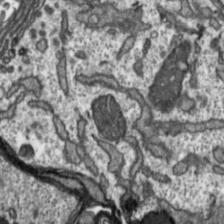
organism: Toxoplasma gondii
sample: Parasites in a vacuole inside a host cell